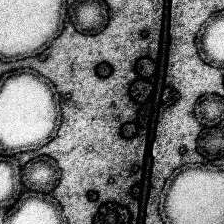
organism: Human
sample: Temporal Lobe